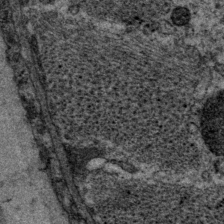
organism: P. pacificus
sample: Pharynx